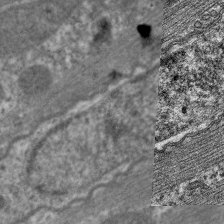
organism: C. elegans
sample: Pharynx